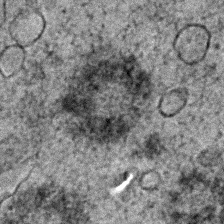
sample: Trachea